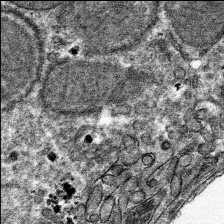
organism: Mouse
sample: Mouse hepatocytes